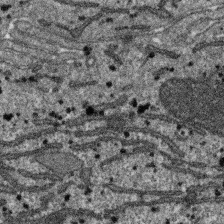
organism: Human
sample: Lung epithelial cells infected with SARS-CoV-2